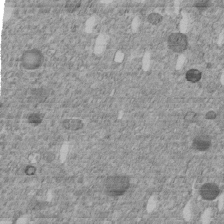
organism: C. elegans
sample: C. elegans embryo early stage